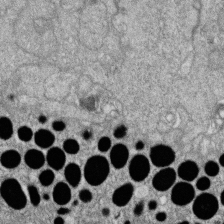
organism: Zebrafish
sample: Cilia; retinal pigment epithelium